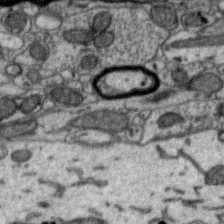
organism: Zebra finch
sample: Brain